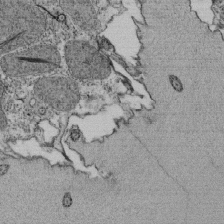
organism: Tetrahymena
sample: Cilia in tetrahymena